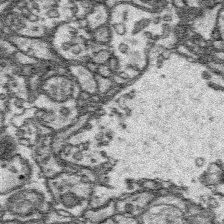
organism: Platynereis dumerilii